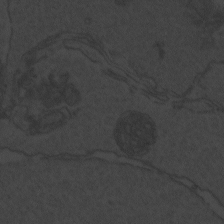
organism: Zebrafish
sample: Macrophage infected with Toxoplasma gondii